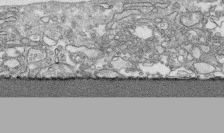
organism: Human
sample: CRL-1474